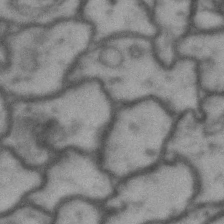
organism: Drosophila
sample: Brain